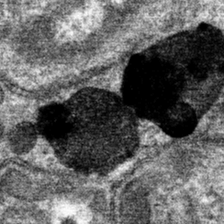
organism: Mouse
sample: Mouse hepatocytes